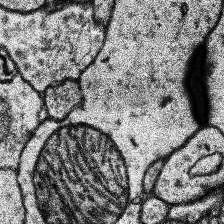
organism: Human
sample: Temporal Lobe